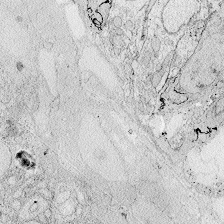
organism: Zebrafish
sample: Whole-Brain